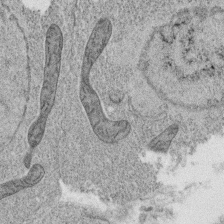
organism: C. elegans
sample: C. elegans oocyte; sperm cells